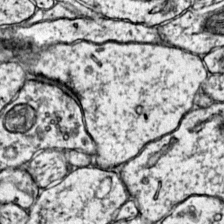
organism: Mouse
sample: Primary visual cortex